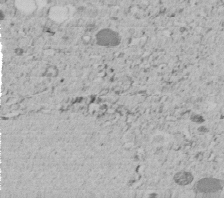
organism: C. elegans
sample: C. elegans embryo early stage